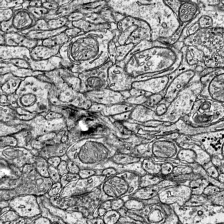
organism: Mouse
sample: Visual Cortex